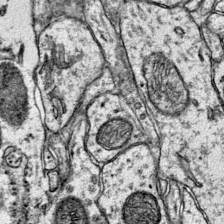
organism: Mouse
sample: Primary visual cortex